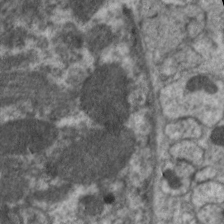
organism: C. elegans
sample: Pharynx